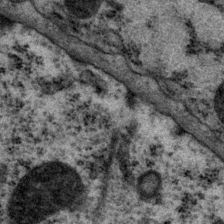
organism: P. pacificus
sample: Pharynx